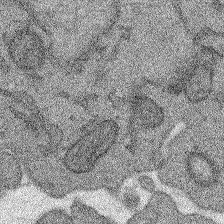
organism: Human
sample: HeLa cells